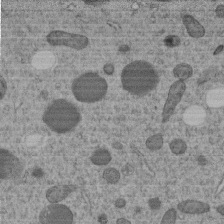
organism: C. elegans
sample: C. elegans embryo early stage